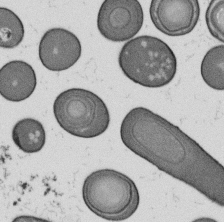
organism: B. subtilis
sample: Bacterial spore